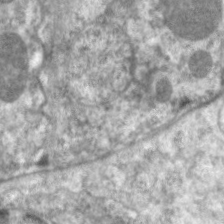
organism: C. elegans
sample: Pharynx